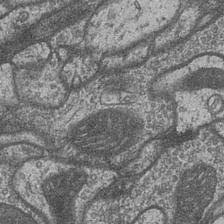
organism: Drosophila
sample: Optic medulla